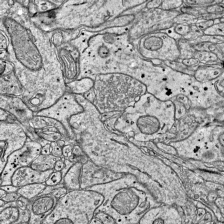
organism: Mouse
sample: Visual Cortex